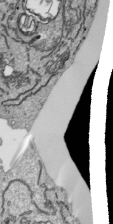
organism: Human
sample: Mitochondria in HCT116 cells